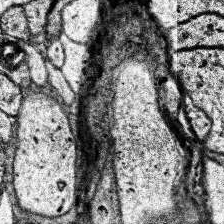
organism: Human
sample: Temporal Lobe